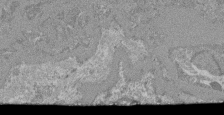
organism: Mouse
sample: Glomerulus